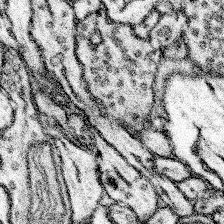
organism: Mouse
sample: Somatosensory cortex neuropil